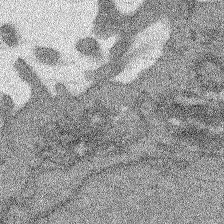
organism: Human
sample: HeLa cells